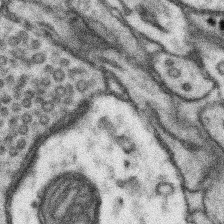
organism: Mouse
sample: Somatosensory cortex neuropil